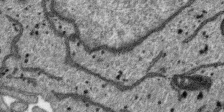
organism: Human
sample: Lung epithelial cells, uninfected (mock) control